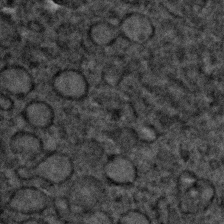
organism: C. elegans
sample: C. elegans embryo